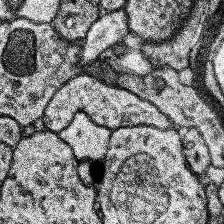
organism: Human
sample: Temporal Lobe